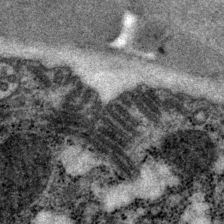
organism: P. pacificus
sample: Pharynx